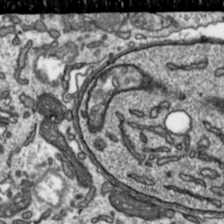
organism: Toxoplasma gondii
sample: Parasites in a vacuole inside a host cell